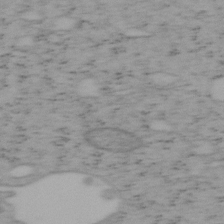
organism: Mouse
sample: OT-I killer T cells with ID8 ovarian cancer cells